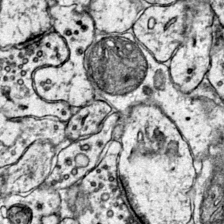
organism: Mouse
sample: Primary visual cortex